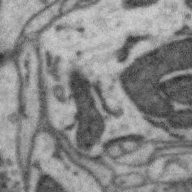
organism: Zebra finch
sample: Brain